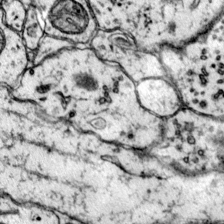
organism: Mouse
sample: Primary visual cortex